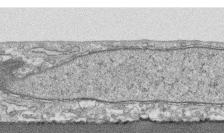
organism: Human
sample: CRL-1474